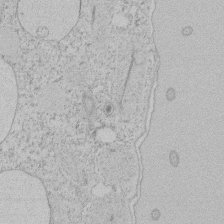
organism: Tetrahymena